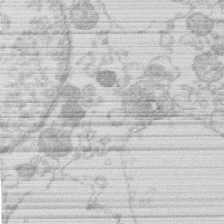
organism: Human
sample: Macrophage cells